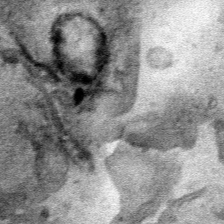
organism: Human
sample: Mitochondria in HCT116 cells